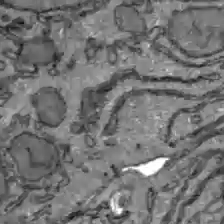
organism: C57BL Mouse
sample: Liver